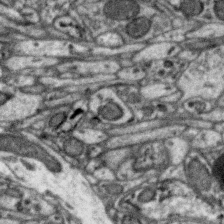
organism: Zebra finch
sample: Brain